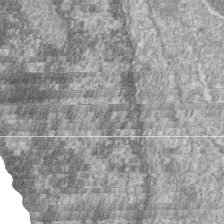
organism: Zebrafish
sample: Cilia; retinal pigment epithelium